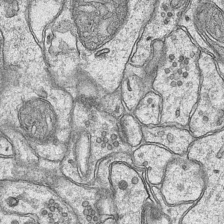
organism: Mouse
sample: CA1 Hippocampus